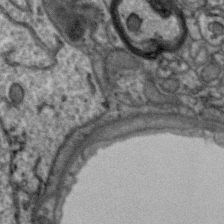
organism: Zebra finch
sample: Brain